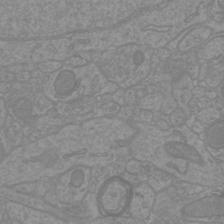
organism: Mouse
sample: Cortical neurons